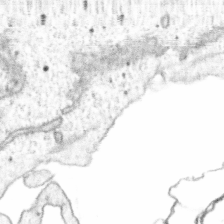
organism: Human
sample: HeLa cells